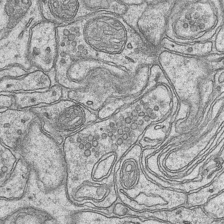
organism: Mouse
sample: CA1 Hippocampus